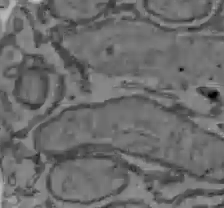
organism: C57BL Mouse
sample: Liver